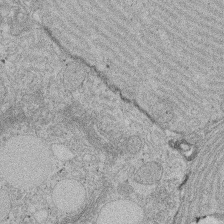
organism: Rat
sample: Salivary granule